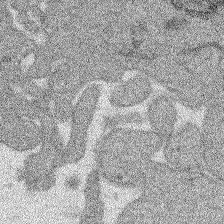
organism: Human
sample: HeLa cells